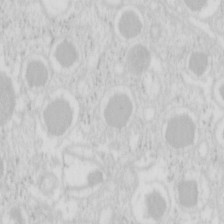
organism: Mouse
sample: Pancreas